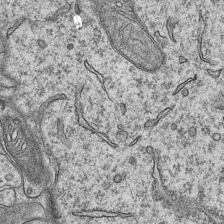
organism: Mouse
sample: CA1 Hippocampus